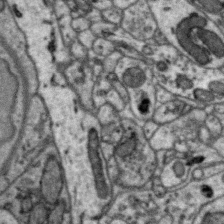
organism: Zebra finch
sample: Brain